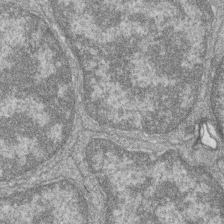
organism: Zebrafish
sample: Cilia; retinal pigment epithelium